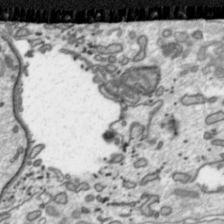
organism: Toxoplasma gondii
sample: Parasites in a vacuole inside a host cell